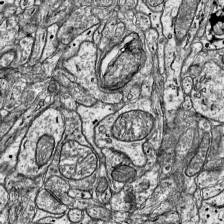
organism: Mouse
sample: Visual Cortex